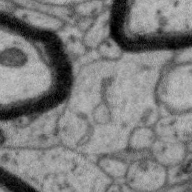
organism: Zebra finch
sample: Brain